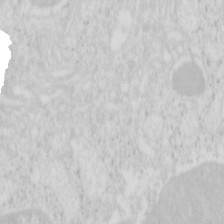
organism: Mouse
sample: Pancreas